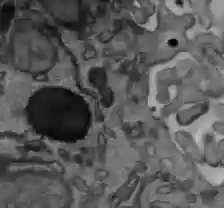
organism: C57BL Mouse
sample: Liver